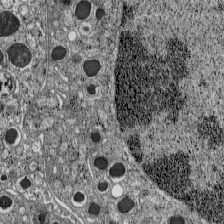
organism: C57BL Mouse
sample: Pancreatic islet